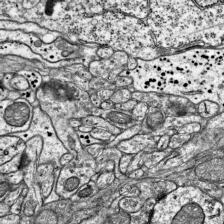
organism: Mouse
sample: Visual Cortex